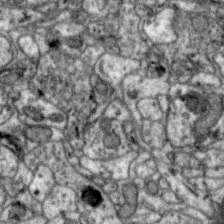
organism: Zebra finch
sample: Brain